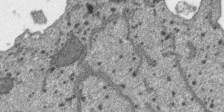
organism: Human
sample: Lung epithelial cells infected with SARS-CoV-2